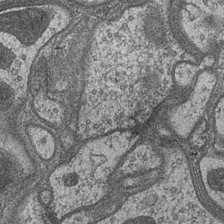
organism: Drosophila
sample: Optic medulla